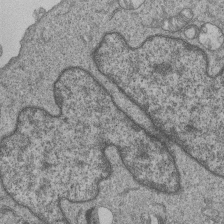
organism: Human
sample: MDA-MB-231 cells